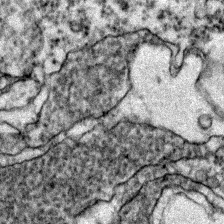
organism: Zebrafish